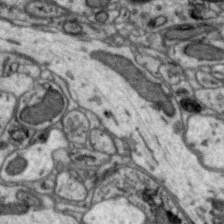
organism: Zebra finch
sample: Brain